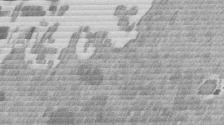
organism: Mouse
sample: Dividing mouse embryo 1 cell stage